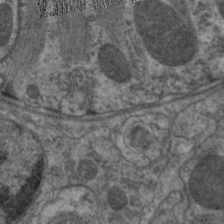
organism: C. elegans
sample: Pharynx